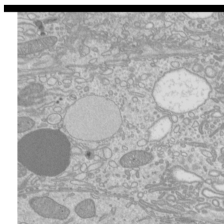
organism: Mouse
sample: Cilia; mouse epididymis